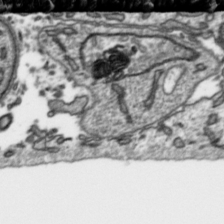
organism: Toxoplasma gondii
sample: Parasites in a vacuole inside a host cell